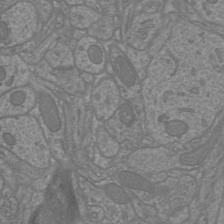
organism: Mouse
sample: Cortical neurons